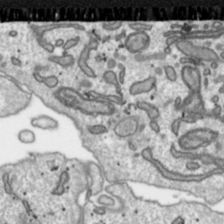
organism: Toxoplasma gondii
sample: Parasites in a vacuole inside a host cell